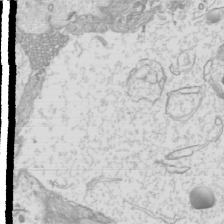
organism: Mouse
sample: Cilia; mouse epididymis